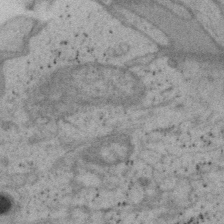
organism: Human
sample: HeLa cells